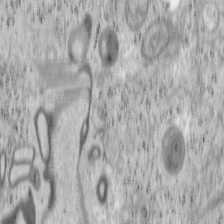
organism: Human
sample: HeLa cells